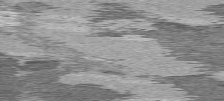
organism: C57BL Mouse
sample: Heart